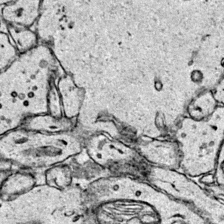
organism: Mouse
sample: Primary visual cortex